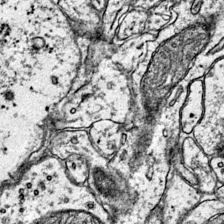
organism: Mouse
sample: Primary visual cortex